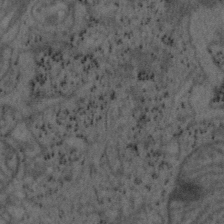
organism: Human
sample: HeLa cells